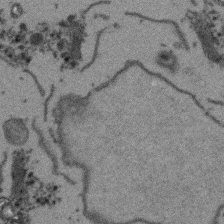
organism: Arabidopsis thaliana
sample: Root tip